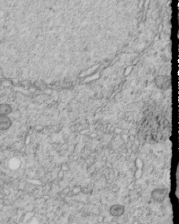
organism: C. elegans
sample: C. elegans embryo early stage